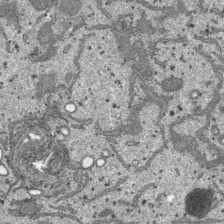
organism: Human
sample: Lung epithelial cells infected with SARS-CoV-2